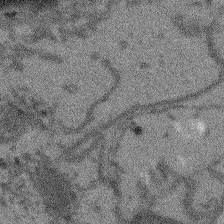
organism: Arabidopsis thaliana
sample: Root tip